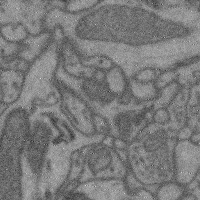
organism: Mouse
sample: Cerebral cortex